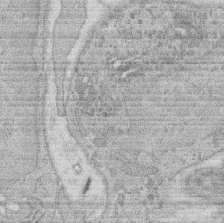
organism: Rat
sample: Salivary granule